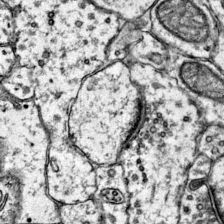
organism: Mouse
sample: Primary visual cortex